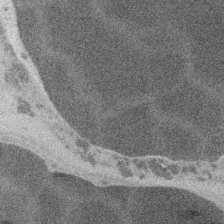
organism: Embia sp.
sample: Silk gland